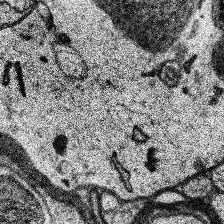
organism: Human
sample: Temporal Lobe